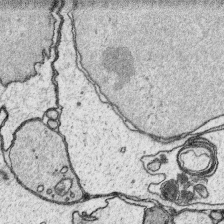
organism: Platynereis dumerilii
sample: Parapodia